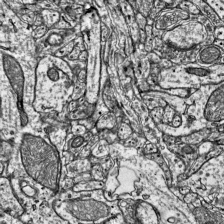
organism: Mouse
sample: Visual Cortex